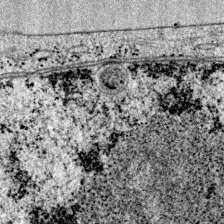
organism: Human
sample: HeLa cells